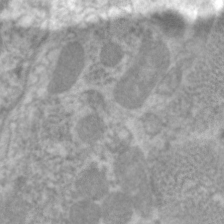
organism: C. elegans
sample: Pharynx